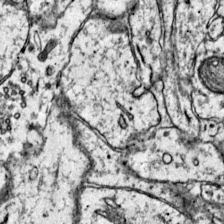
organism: Mouse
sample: Primary visual cortex